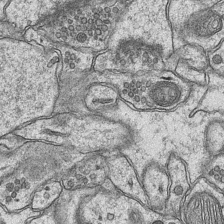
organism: Mouse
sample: CA1 Hippocampus